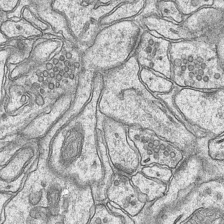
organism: Mouse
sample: CA1 Hippocampus